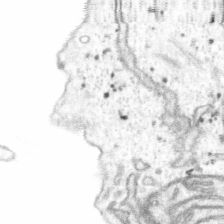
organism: Human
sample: HeLa cells